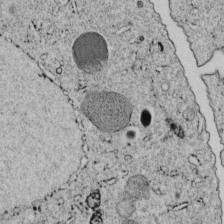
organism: C. elegans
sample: C. elegans embryo early stage